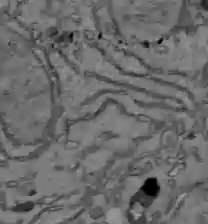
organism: C57BL Mouse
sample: Liver